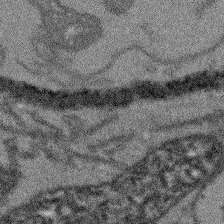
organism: Arabidopsis thaliana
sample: Root tip